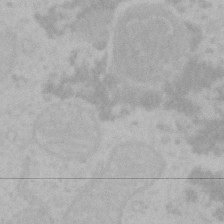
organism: Mouse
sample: Choroid plexus